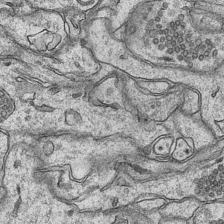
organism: Mouse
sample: CA1 Hippocampus